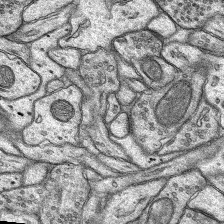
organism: Rat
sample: Hippocampus